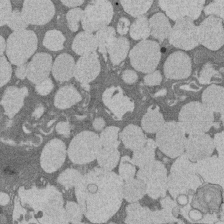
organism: Rat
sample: Salivary granule